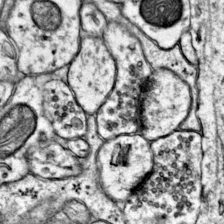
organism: Mouse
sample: Primary visual cortex